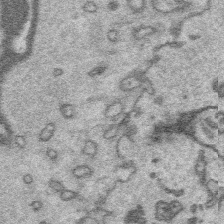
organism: Platynereis dumerilii